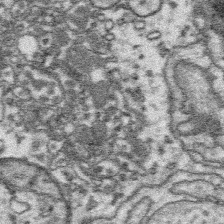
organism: Platynereis dumerilii